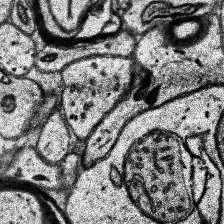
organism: Human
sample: Temporal Lobe